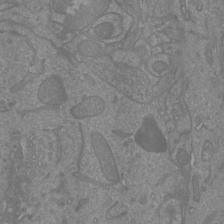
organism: Mouse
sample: Cortical neurons